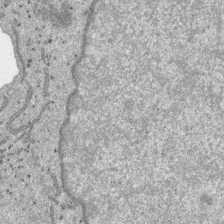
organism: Human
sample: Lung epithelial cells infected with SARS-CoV-2